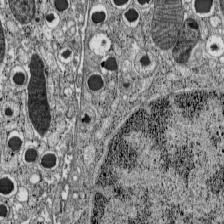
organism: C57BL Mouse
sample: Pancreatic islet